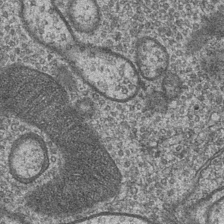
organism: Drosophila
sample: Optic medulla